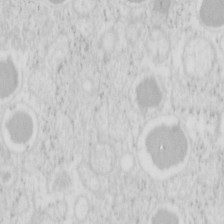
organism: Mouse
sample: Pancreas